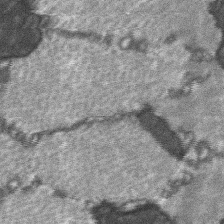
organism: C57BL Mouse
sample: Soleus